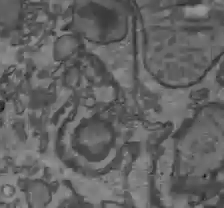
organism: C57BL Mouse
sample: Liver